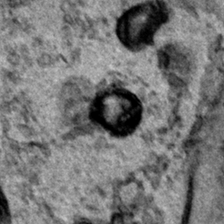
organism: Human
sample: Mitochondria in HCT116 cells